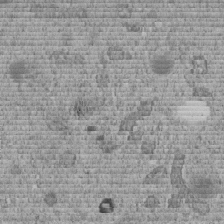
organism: C. elegans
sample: C. elegans embryo early stage